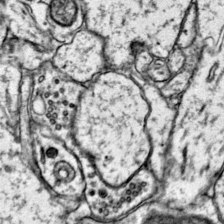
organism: Mouse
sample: Primary visual cortex